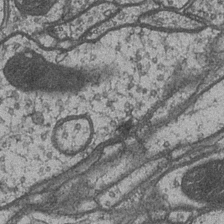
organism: Drosophila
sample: Optic medulla